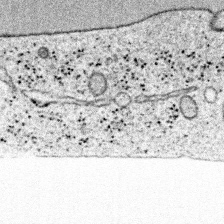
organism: Human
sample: HeLa cells